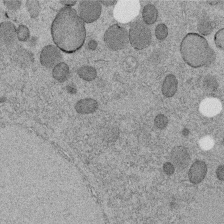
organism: C. elegans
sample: C. elegans embryo early stage